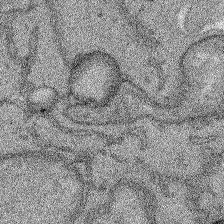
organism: Human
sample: HeLa cells